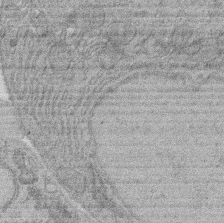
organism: Rat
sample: Salivary granule